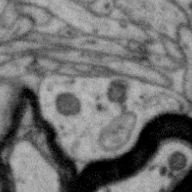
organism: Zebra finch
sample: Brain